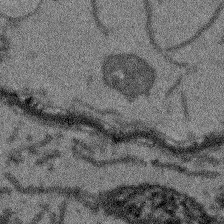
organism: Arabidopsis thaliana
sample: Root tip